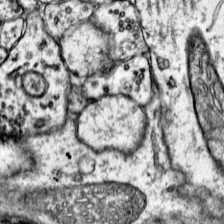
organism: Mouse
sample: Primary visual cortex